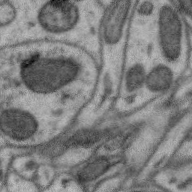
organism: Zebra finch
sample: Brain